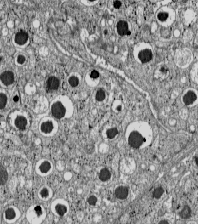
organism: C57BL Mouse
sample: Pancreatic islet